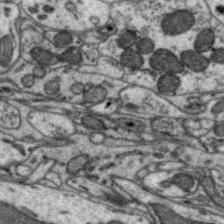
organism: Zebra finch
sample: Brain